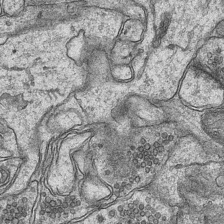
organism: Mouse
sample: CA1 Hippocampus